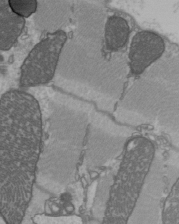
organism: C57BL Mouse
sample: Heart